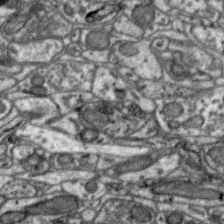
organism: Zebra finch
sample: Brain